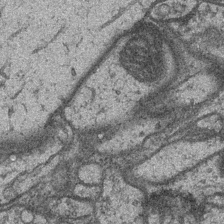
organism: Drosophila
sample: Optic medulla